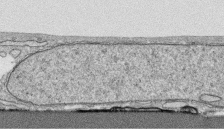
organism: Human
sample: CRL-1474